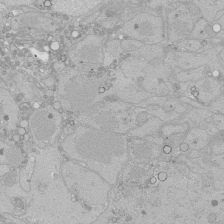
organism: Human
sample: Caco-2 cells